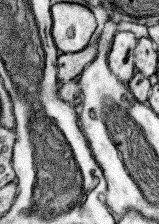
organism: Mouse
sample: Somatosensory cortex neuropil